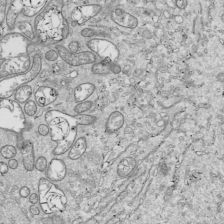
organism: Drosophila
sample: Cell division; meiosis; drosophila spermatocytes